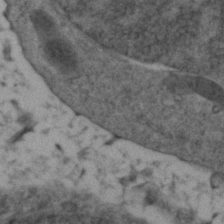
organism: Zebrafish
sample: Zebrafish embryo